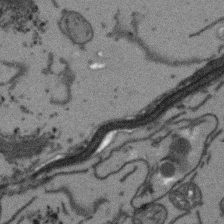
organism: Arabidopsis thaliana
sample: Root tip